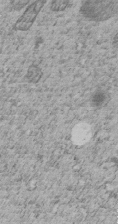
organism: C. elegans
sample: C. elegans embryo early stage